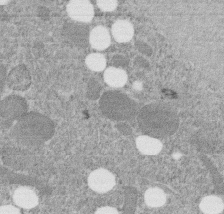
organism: C. elegans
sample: C. elegans embryo early stage